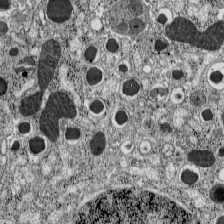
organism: C57BL Mouse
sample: Pancreatic islet